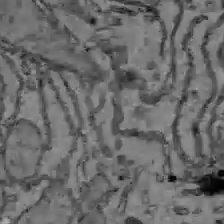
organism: C57BL Mouse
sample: Liver